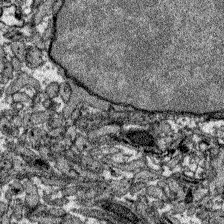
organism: Zebrafish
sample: Larval olfactory bulb